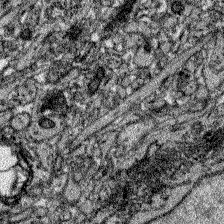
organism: Zebrafish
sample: Larval olfactory bulb